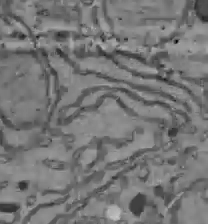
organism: C57BL Mouse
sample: Liver